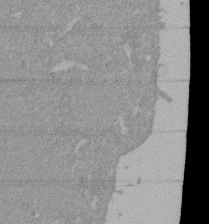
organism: Mouse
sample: ED-1 cell nuclei; centrioles